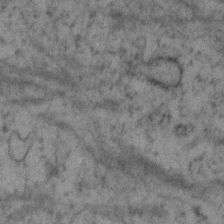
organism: Human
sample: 1205lu cells